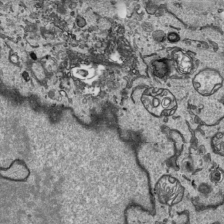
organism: Human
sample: Mitochondria in HCT116 cells